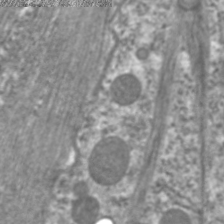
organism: C. elegans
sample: Pharynx